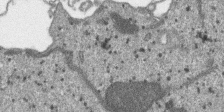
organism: Human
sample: Lung epithelial cells infected with SARS-CoV-2